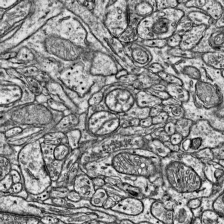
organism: Mouse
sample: Visual Cortex